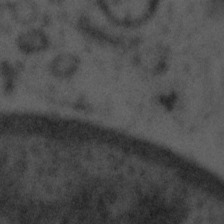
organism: Tuwongella immobilis